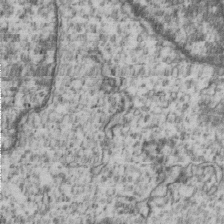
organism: Human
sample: MDA-MB-231 cells